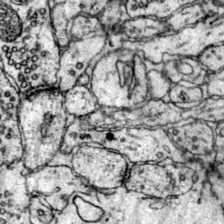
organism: Mouse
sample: Primary visual cortex